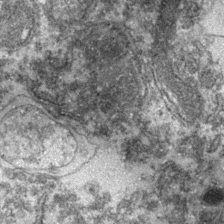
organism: Zebrafish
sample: Zebrafish embryo